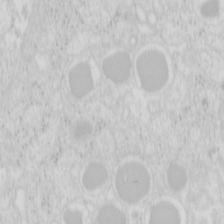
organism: Mouse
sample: Pancreas